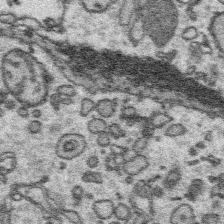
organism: Platynereis dumerilii